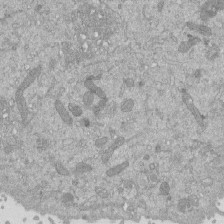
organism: Mouse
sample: ED-1 cell nuclei; centrioles